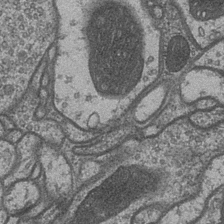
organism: Drosophila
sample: Optic medulla